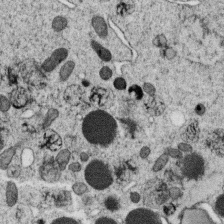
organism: C. elegans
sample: C. elegans oocyte; sperm cells